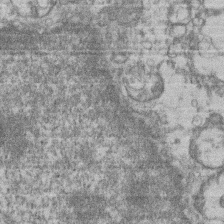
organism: Mouse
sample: T cell stromal cell synapse